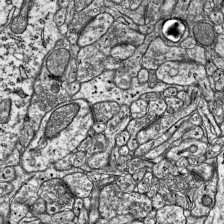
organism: Mouse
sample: Visual Cortex